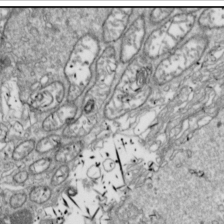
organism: Drosophila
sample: Cell division; meiosis; drosophila spermatocytes